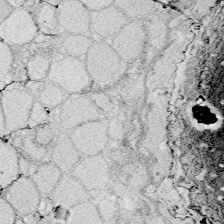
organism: Zebrafish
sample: Whole-Brain